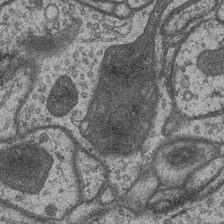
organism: Drosophila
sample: Optic medulla